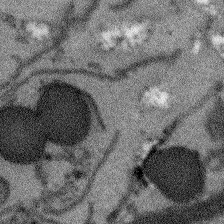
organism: Arabidopsis thaliana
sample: Root tip